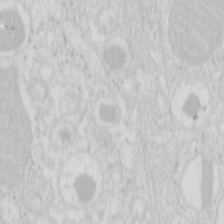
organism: Mouse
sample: Pancreas